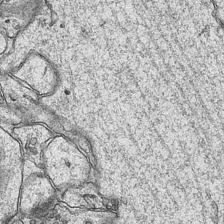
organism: Mouse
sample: CA1 Hippocampus